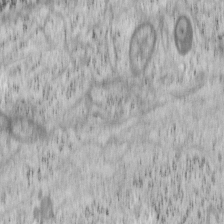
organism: Human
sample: HeLa cells